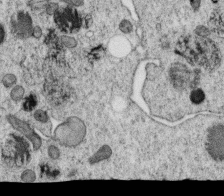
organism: C. elegans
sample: C. elegans oocyte; sperm cells